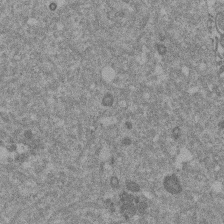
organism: Mouse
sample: Dividing mouse embryo 1 cell stage